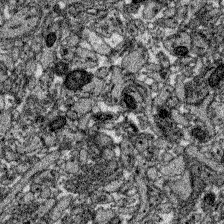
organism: Zebrafish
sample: Larval olfactory bulb